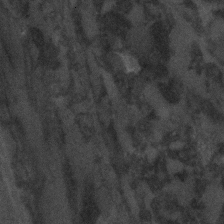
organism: C. elegans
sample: C. elegans embryo